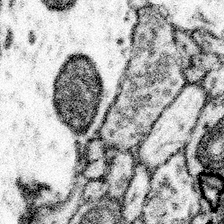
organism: Mouse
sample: Somatosensory cortex neuropil